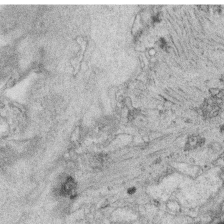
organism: C. elegans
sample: C. elegans oocyte; sperm cells